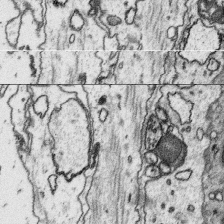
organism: Platynereis dumerilii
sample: Parapodia